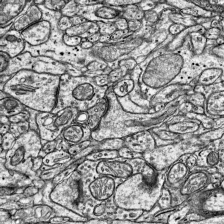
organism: Mouse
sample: Visual Cortex